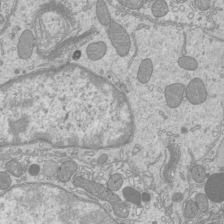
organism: Mouse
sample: Cilia; mouse epididymis